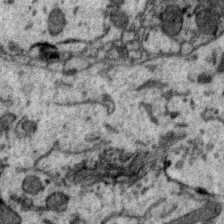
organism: Zebra finch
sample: Brain